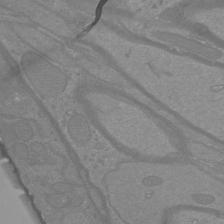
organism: Mouse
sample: Cortical neurons